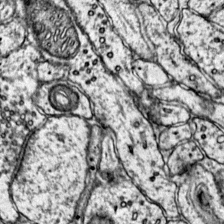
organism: Mouse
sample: Primary visual cortex